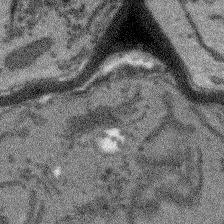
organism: Arabidopsis thaliana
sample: Root tip